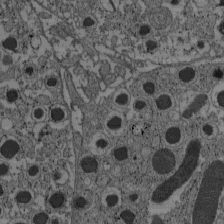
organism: C57BL Mouse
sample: Pancreatic islet